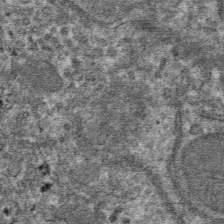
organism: Mouse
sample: Mouse hepatocytes